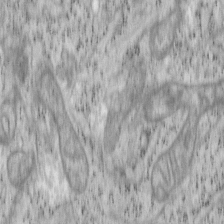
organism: Human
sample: HeLa cells